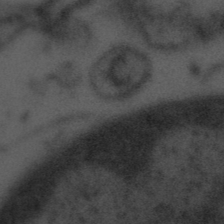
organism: Tuwongella immobilis